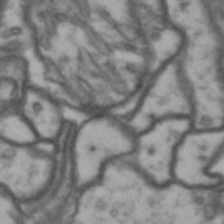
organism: Drosophila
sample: Brain